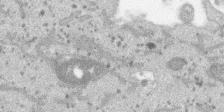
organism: Human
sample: Lung epithelial cells infected with SARS-CoV-2